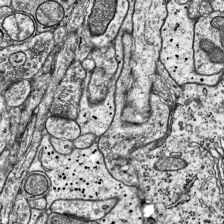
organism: Mouse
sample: Visual Cortex